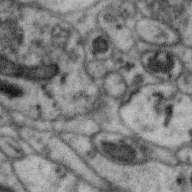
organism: Zebra finch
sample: Brain